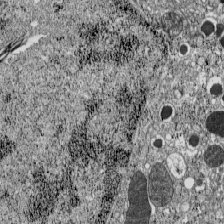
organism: C57BL Mouse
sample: Pancreatic islet